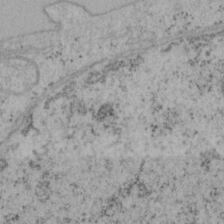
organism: Human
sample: HeLa cells